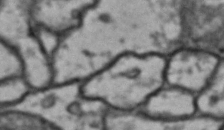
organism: Drosophila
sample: Brain